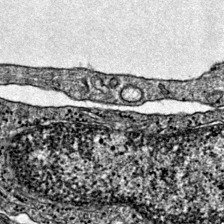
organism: Mouse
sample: Primary visual cortex